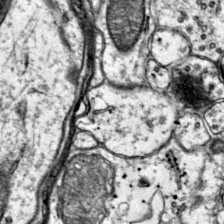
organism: Mouse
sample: Primary visual cortex